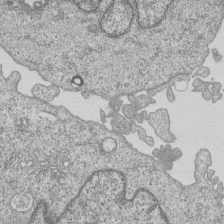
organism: Human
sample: MDA-MB-231 cells